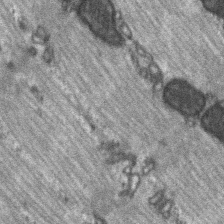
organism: C57BL Mouse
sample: Soleus